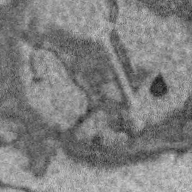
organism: Zebra finch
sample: Brain